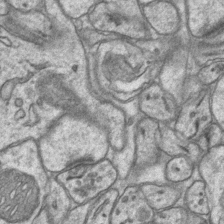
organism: Mouse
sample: CA1 Hippocampus